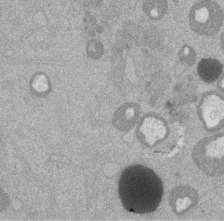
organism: Mouse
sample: Dividing mouse embryo 1 cell stage